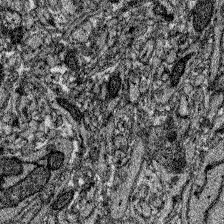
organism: Zebrafish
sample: Larval olfactory bulb